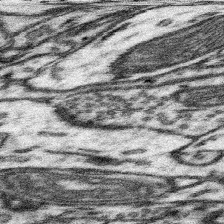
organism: Mouse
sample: Somatosensory cortex neuropil